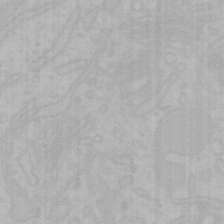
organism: Mouse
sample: Choroid plexus